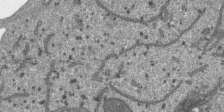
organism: Human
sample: Lung epithelial cells infected with SARS-CoV-2